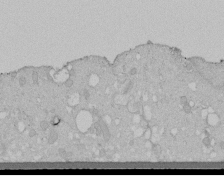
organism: Human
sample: Melanocyte Keratinocyte synapse skin construct